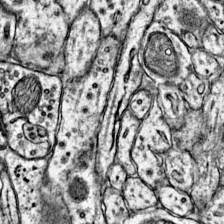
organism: Mouse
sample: Primary visual cortex